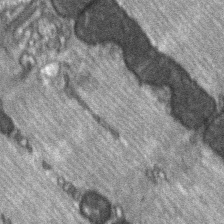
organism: C57BL Mouse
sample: Soleus